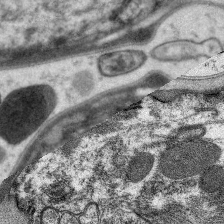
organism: C. elegans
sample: Pharynx